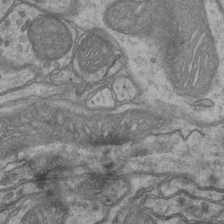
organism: Mouse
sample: CA1 Hippocampus